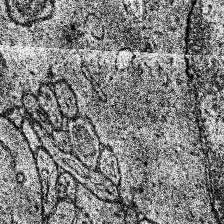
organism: Human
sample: Temporal Lobe